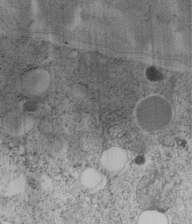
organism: C. elegans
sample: C. elegans embryo early stage